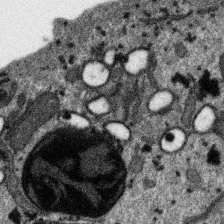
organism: Human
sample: Lung epithelial cells infected with SARS-CoV-2